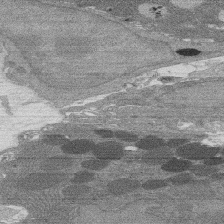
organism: Rat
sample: Salivary granule